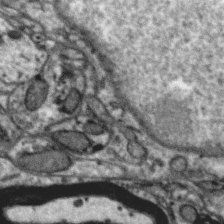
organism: Zebra finch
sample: Brain